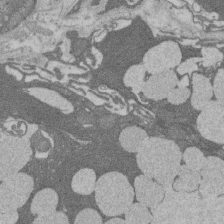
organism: Rat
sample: Salivary granule